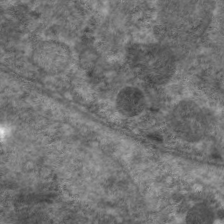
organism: C. elegans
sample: Pharynx